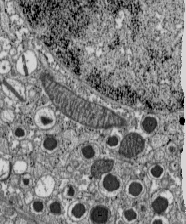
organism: C57BL Mouse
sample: Pancreatic islet